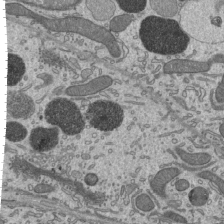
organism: Mouse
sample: Mouse epididymis efferent ductule cilia